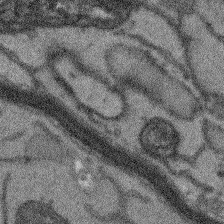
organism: Arabidopsis thaliana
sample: Root tip